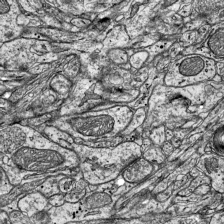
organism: Mouse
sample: Visual Cortex